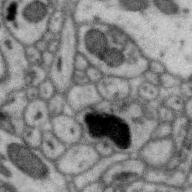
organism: Zebra finch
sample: Brain